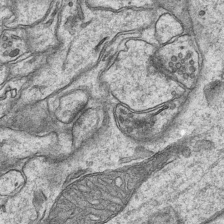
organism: Mouse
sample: CA1 Hippocampus